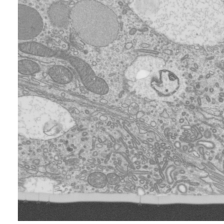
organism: Mouse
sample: Cilia; mouse epididymis